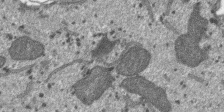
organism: Human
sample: Lung epithelial cells infected with SARS-CoV-2